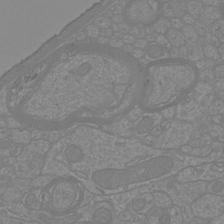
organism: Mouse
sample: Cortical neurons